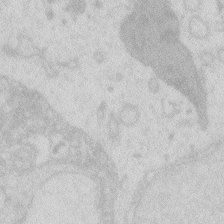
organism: Zebrafish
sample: Macrophage